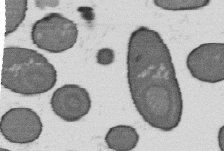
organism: B. subtilis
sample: Bacterial spore